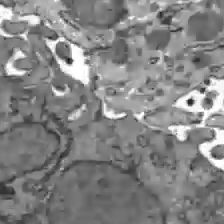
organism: C57BL Mouse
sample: Liver